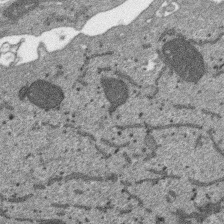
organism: Human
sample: Lung epithelial cells infected with SARS-CoV-2